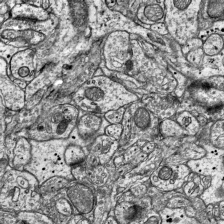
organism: Mouse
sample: Visual Cortex